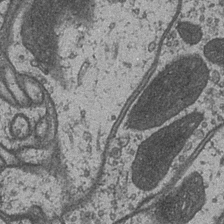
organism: Drosophila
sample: Optic medulla